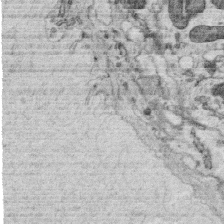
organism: C. elegans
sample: C. elegans oocyte; sperm cells